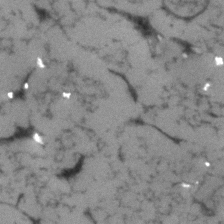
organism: Human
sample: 1205lu cells